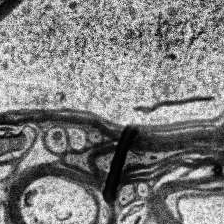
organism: Human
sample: Temporal Lobe